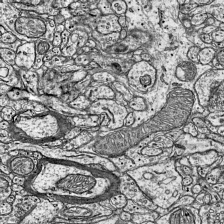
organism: Mouse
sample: Visual Cortex